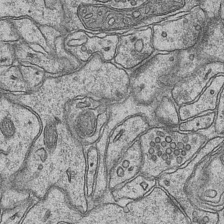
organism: Mouse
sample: CA1 Hippocampus